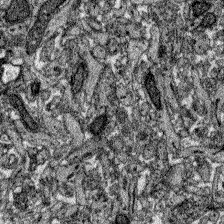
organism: Zebrafish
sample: Larval olfactory bulb